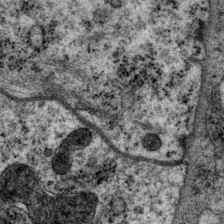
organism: P. pacificus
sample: Pharynx